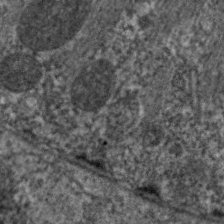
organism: C. elegans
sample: Pharynx